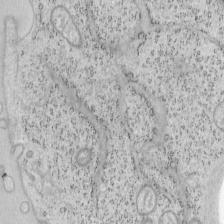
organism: Mouse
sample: OT-I killer T cells with ID8 ovarian cancer cells